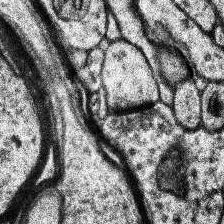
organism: Human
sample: Temporal Lobe